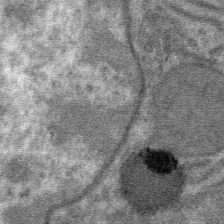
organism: Mouse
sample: Mouse hepatocytes